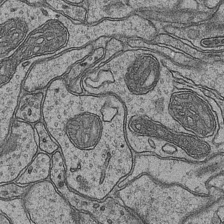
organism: Mouse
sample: CA1 Hippocampus